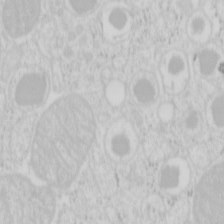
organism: Mouse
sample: Pancreas